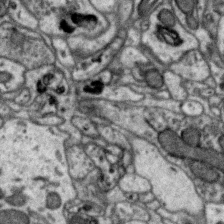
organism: Zebra finch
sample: Brain